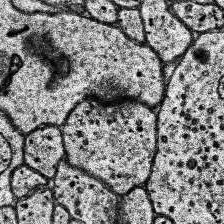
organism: Human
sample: Temporal Lobe